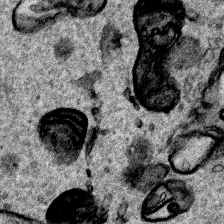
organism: Human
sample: Mitochondria in HCT116 cells